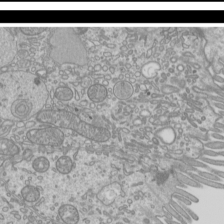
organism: Mouse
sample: Cilia; mouse epididymis